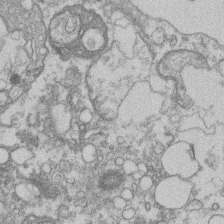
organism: Mouse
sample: T cell stromal cell synapse